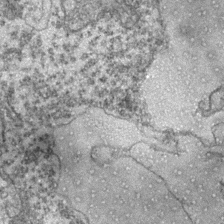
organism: Zebrafish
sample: Zebrafish embryo